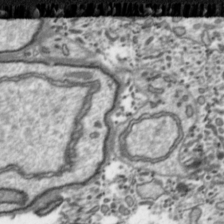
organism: Toxoplasma gondii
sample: Parasites in a vacuole inside a host cell